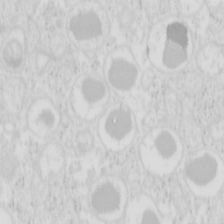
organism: Mouse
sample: Pancreas